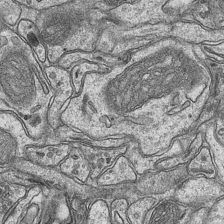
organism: Mouse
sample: CA1 Hippocampus